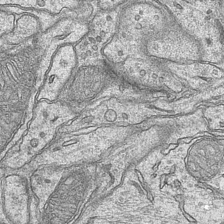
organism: Mouse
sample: CA1 Hippocampus